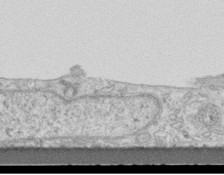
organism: Mouse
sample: Centriole in ependymal cells